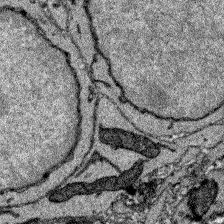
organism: Zebrafish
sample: Larval olfactory bulb